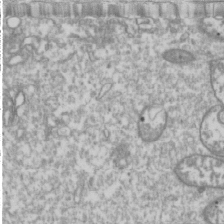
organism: Drosophila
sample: Cell division; meiosis; drosophila spermatocytes